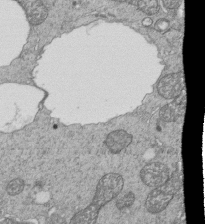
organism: Tetrahymena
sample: Cilia in tetrahymena